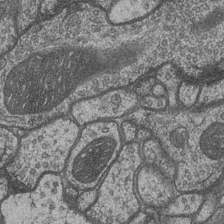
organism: Drosophila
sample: Optic medulla